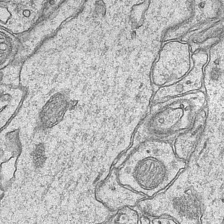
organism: Mouse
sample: CA1 Hippocampus